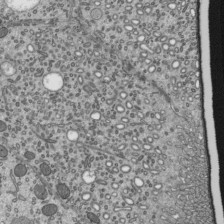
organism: Mouse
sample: Mouse epididymis efferent ductule cilia